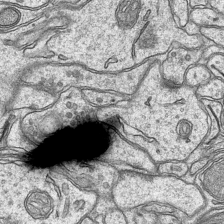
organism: Mouse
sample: CA1 Hippocampus